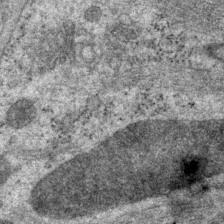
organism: P. pacificus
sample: Pharynx